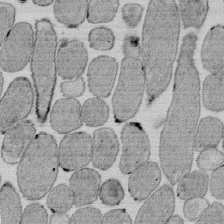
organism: E. coli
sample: Bacterial nucleoid